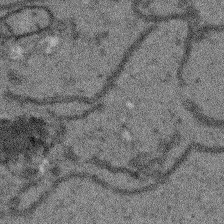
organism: Arabidopsis thaliana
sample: Root tip